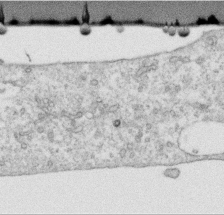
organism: Human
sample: Centriole in RPE cells